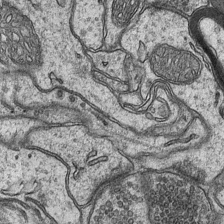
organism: Mouse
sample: CA1 Hippocampus